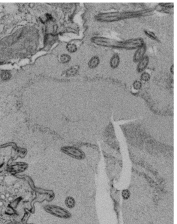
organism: Tetrahymena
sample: Cilia in tetrahymena